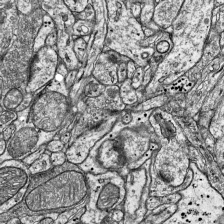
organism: Mouse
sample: Visual Cortex